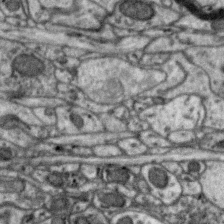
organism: Zebra finch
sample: Brain